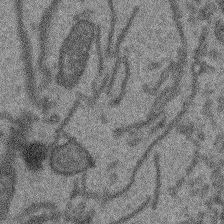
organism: Arabidopsis thaliana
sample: Root tip